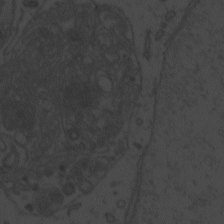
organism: Zebrafish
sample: Macrophage infected with Toxoplasma gondii